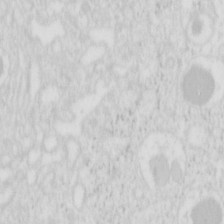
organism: Mouse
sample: Pancreas